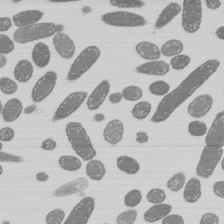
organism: E. coli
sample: Bacterial nucleoid